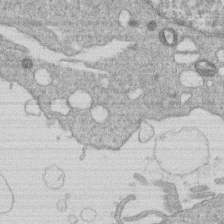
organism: Human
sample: Macrophage cells